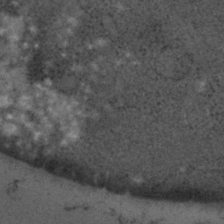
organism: C. elegans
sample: C. elegans embryo